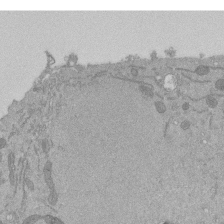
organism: Mouse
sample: ED-1 cell nuclei; centrioles